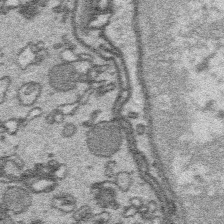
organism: Platynereis dumerilii